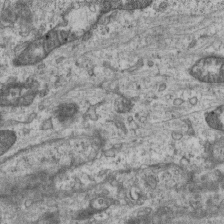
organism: Mouse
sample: Centriole in ependymal cells